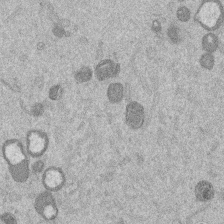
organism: Mouse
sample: Dividing mouse embryo 1 cell stage